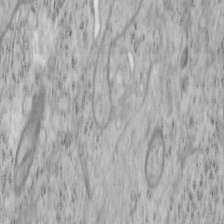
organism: Human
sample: HeLa cells